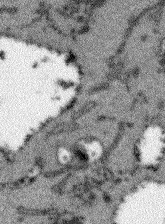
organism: Arabidopsis thaliana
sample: Root tip